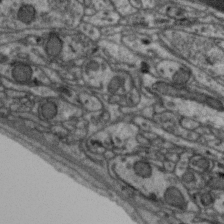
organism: Zebra finch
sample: Brain